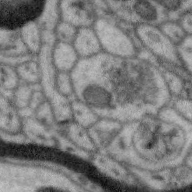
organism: Zebra finch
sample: Brain